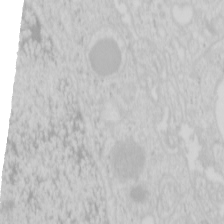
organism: Mouse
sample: Pancreas